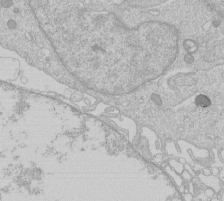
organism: Human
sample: Macrophage cells